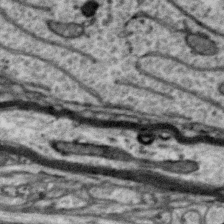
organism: Zebra finch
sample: Brain